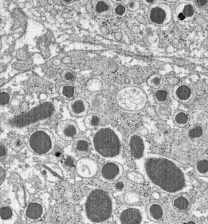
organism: C57BL Mouse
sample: Pancreatic islet